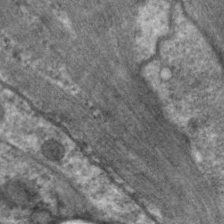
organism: C. elegans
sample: Pharynx